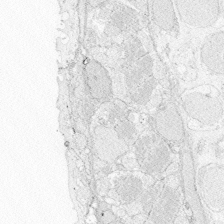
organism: Zebrafish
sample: Whole-Brain